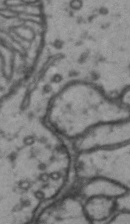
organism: Drosophila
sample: Brain